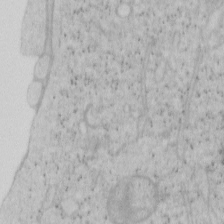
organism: Human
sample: HeLa cells